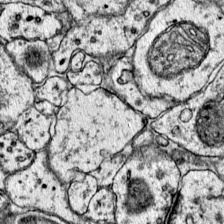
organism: Mouse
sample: Primary visual cortex